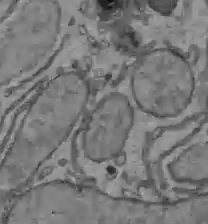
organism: C57BL Mouse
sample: Liver